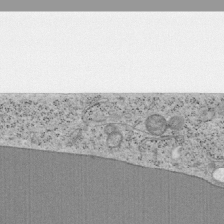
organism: Human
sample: HeLa cells